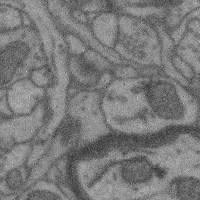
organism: Mouse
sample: Cerebral cortex